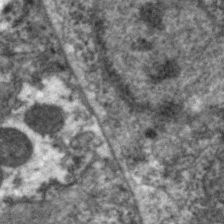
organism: C. elegans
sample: Pharynx